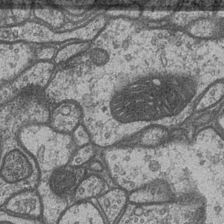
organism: Drosophila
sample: Optic medulla